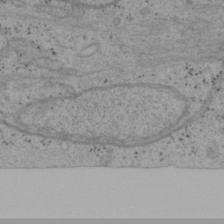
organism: Human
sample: HeLa cells